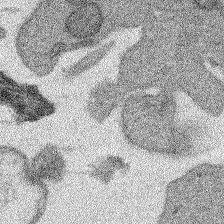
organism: Human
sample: HeLa cells